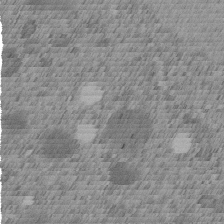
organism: C. elegans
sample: C. elegans embryo early stage